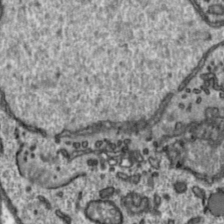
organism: Toxoplasma gondii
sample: Parasites in a vacuole inside a host cell